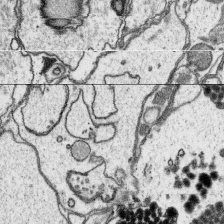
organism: Platynereis dumerilii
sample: Parapodia